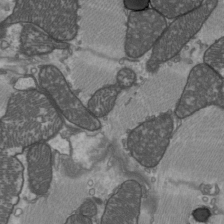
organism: C57BL Mouse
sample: Heart